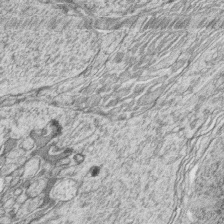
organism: Zebrafish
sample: synaptic ribbons in rod cells and cone cells